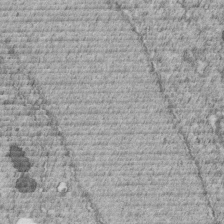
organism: C. elegans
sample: C. elegans embryo early stage